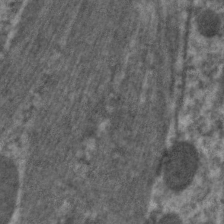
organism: C. elegans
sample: Pharynx